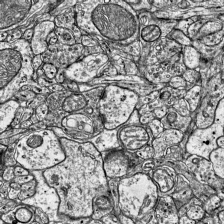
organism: Mouse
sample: Visual Cortex